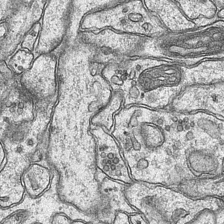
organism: Mouse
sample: CA1 Hippocampus